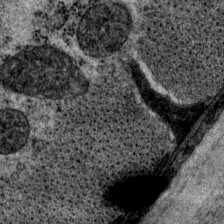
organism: P. pacificus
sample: Pharynx